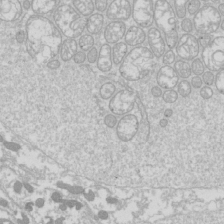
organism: Drosophila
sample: Cell division; meiosis; drosophila spermatocytes